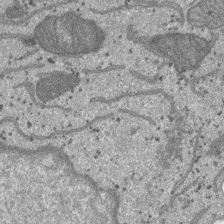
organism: Human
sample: Lung epithelial cells infected with SARS-CoV-2